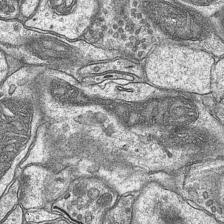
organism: Mouse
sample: CA1 Hippocampus